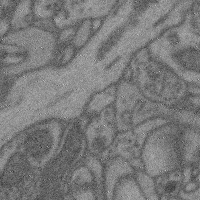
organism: Mouse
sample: Cerebral cortex